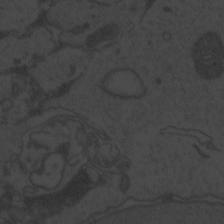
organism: Zebrafish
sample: Macrophage infected with Toxoplasma gondii